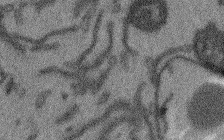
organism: Arabidopsis thaliana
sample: Root tip